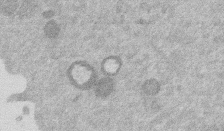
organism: Mouse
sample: Dividing mouse embryo 1 cell stage